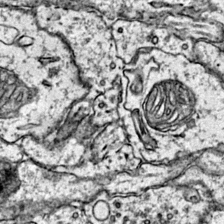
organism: Mouse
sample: Primary visual cortex